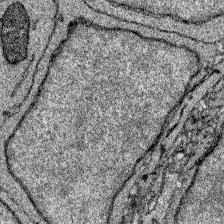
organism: Zebrafish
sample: Larval olfactory bulb